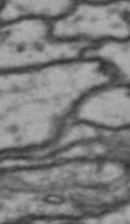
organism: Drosophila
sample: Brain